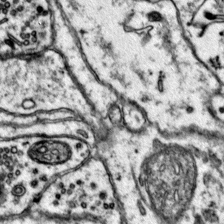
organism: Mouse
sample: Primary visual cortex